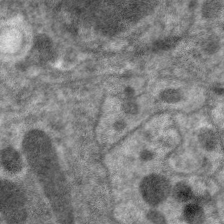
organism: C. elegans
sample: Pharynx